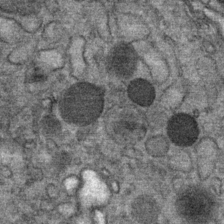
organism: Mouse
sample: Mouse Salivary gland